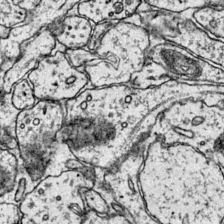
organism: Mouse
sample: Primary visual cortex